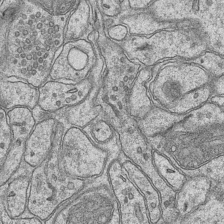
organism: Mouse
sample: CA1 Hippocampus